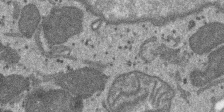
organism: Human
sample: Lung epithelial cells infected with SARS-CoV-2